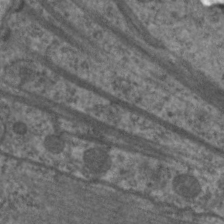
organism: C. elegans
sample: Pharynx